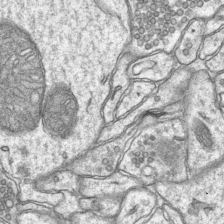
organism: Mouse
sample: CA1 Hippocampus